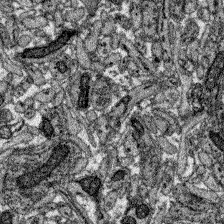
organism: Zebrafish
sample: Larval olfactory bulb